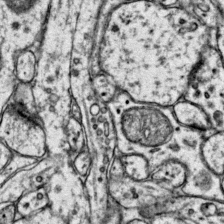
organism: Mouse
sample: Primary visual cortex